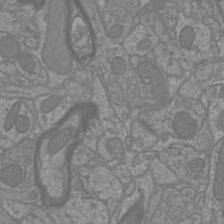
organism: Mouse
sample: Cortical neurons